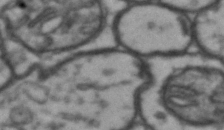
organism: Drosophila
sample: Brain